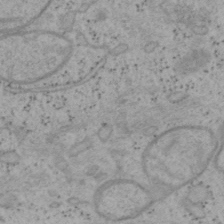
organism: Human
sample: HeLa cells